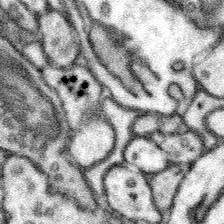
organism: Mouse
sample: Somatosensory cortex neuropil